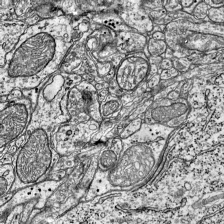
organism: Mouse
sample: Visual Cortex